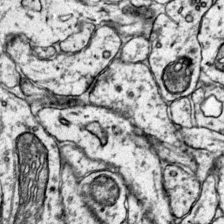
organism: Mouse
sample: Primary visual cortex